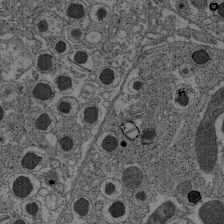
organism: C57BL Mouse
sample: Pancreatic islet